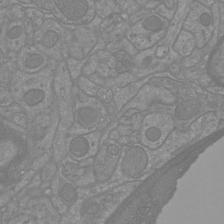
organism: Mouse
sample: Cortical neurons